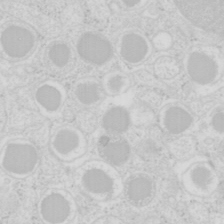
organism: Mouse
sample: Pancreas